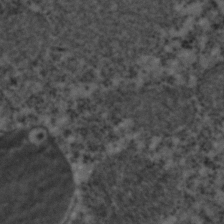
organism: C. elegans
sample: C. elegans embryo